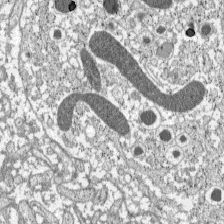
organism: C57BL Mouse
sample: Pancreatic islet